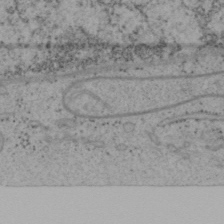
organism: Human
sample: HeLa cells